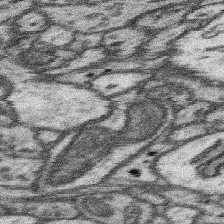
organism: Mouse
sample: Somatosensory cortex neuropil